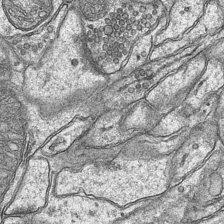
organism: Mouse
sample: CA1 Hippocampus